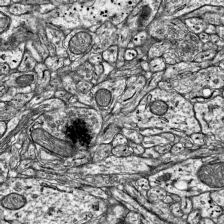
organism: Mouse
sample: Visual Cortex